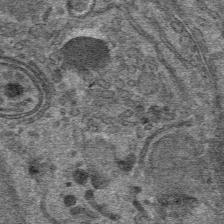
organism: Mouse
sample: Mouse hepatocytes